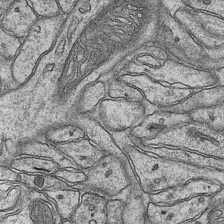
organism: Mouse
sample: CA1 Hippocampus